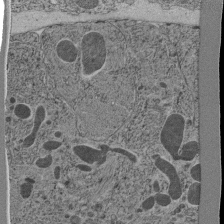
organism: C. elegans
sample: C. elegans pharynx